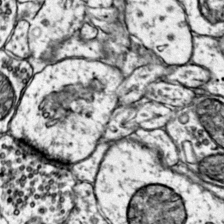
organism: Mouse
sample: Primary visual cortex